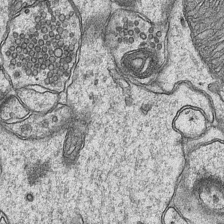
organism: Mouse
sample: CA1 Hippocampus